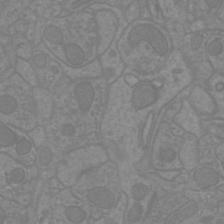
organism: Mouse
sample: Cortical neurons